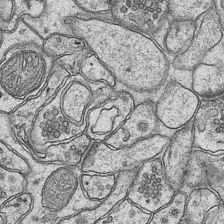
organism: Mouse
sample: CA1 Hippocampus